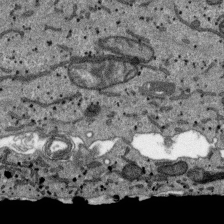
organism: Human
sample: Lung epithelial cells, uninfected (mock) control